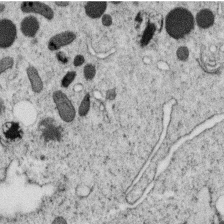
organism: C. elegans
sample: C. elegans oocyte; sperm cells